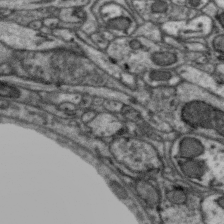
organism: Zebra finch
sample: Brain